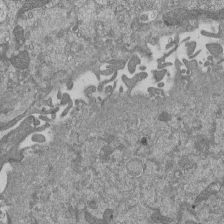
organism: Mouse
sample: ED-1 cell nuclei; centrioles